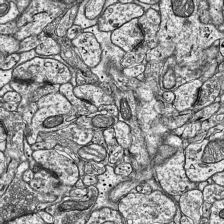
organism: Mouse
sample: Visual Cortex